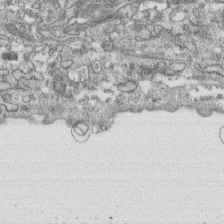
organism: Human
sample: CRL-1474